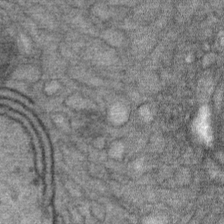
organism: Mouse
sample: Mouse Salivary gland